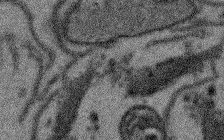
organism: Arabidopsis thaliana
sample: Root tip